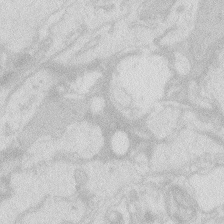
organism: Zebrafish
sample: Macrophage